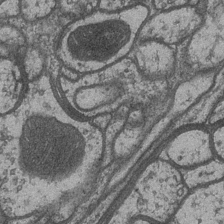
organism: Drosophila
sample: Optic medulla